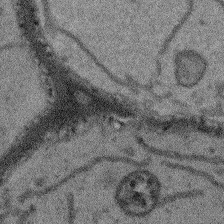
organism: Arabidopsis thaliana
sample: Root tip